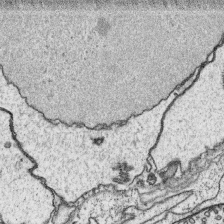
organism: Platynereis dumerilii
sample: Parapodia